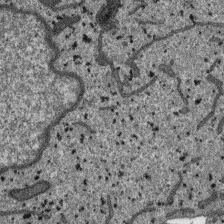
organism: Human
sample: Lung epithelial cells infected with SARS-CoV-2